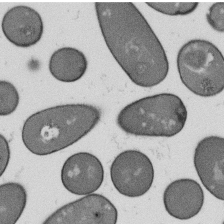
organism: B. subtilis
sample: Bacterial spore